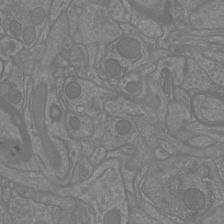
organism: Mouse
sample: Cortical neurons